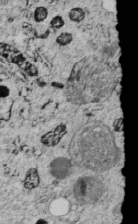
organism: C. elegans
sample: C. elegans embryo early stage